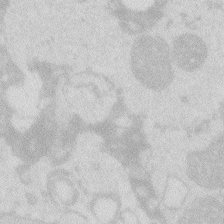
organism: Zebrafish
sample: Macrophage